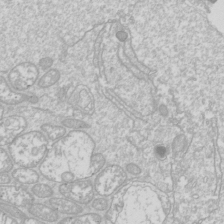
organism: Drosophila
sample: Cell division; meiosis; drosophila spermatocytes